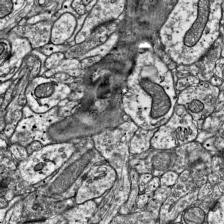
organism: Mouse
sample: Visual Cortex